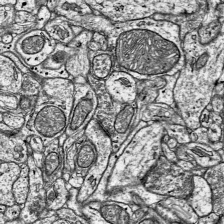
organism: Mouse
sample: Visual Cortex